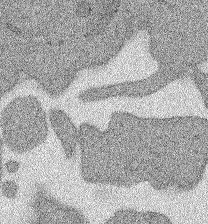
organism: Human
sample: HeLa cells